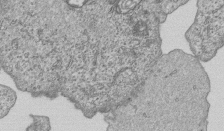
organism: Human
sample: MDA-MB-231 cells